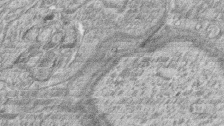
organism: Zebrafish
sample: synaptic ribbons in rod cells and cone cells